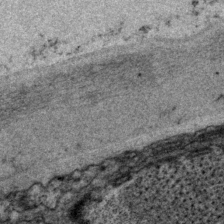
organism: P. pacificus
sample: Pharynx